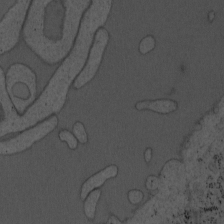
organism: Mouse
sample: OT-I killer T cells with ID8 ovarian cancer cells